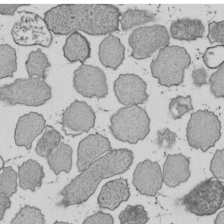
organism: E. coli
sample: Bacterial nucleoid